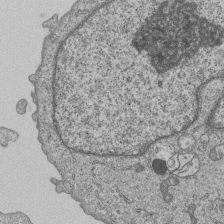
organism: Human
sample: MDA-MB-231 cells